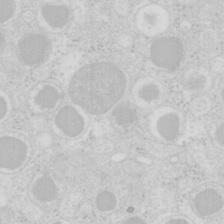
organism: Mouse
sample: Pancreas